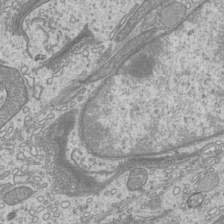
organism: Mouse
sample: Cilia; mouse epididymis